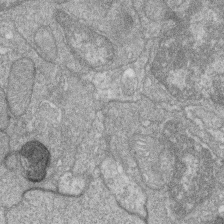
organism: Zebrafish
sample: Cilia; retinal pigment epithelium